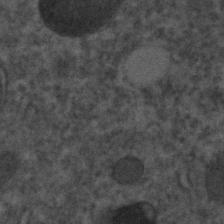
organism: C. elegans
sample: C. elegans embryo